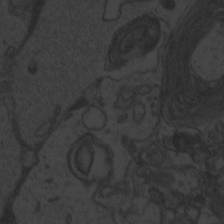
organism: Zebrafish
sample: Macrophage infected with Toxoplasma gondii